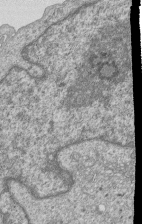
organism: Human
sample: MDA-MB-231 cells